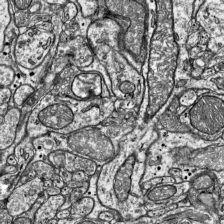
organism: Mouse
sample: Visual Cortex